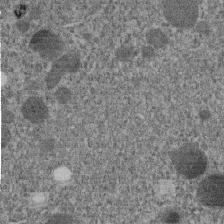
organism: C. elegans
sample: C. elegans embryo early stage